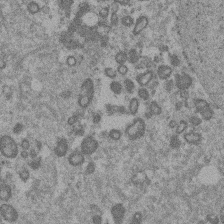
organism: Mouse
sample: Dividing mouse embryo 1 cell stage